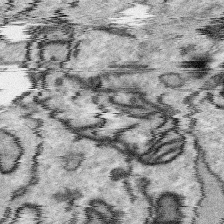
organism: Human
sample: HeLa cells